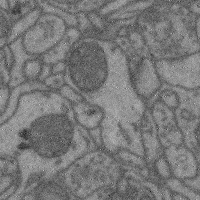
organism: Mouse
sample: Cerebral cortex